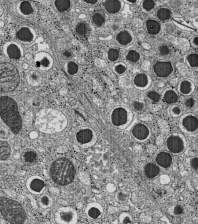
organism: C57BL Mouse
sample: Pancreatic islet